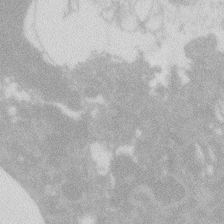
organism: Zebrafish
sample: Macrophage